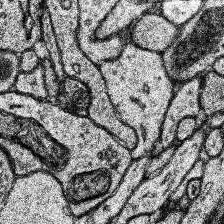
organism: Human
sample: Temporal Lobe